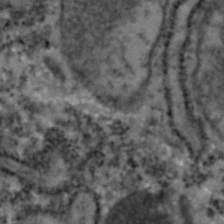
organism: Zebrafish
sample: Zebrafish embryo